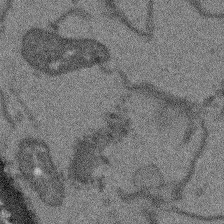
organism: Arabidopsis thaliana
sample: Root tip